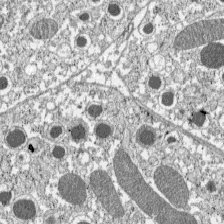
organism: C57BL Mouse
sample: Pancreatic islet